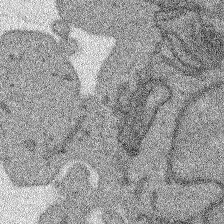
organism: Human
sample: HeLa cells